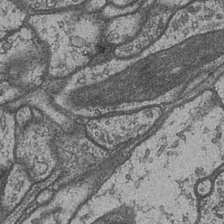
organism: Drosophila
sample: Optic medulla